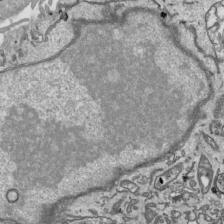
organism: Human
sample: Mitochondria in HCT116 cells